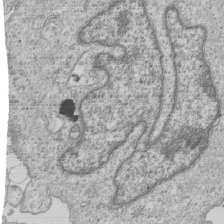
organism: Human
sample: MDA-MB-231 cells